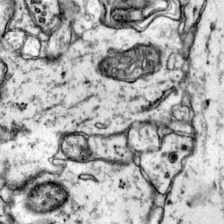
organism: Mouse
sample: Primary visual cortex